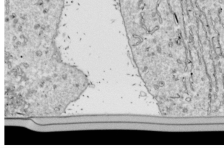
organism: Drosophila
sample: Cell division; meiosis; drosophila spermatocytes